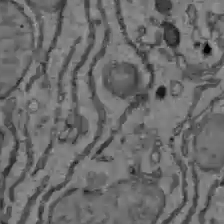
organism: C57BL Mouse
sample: Liver